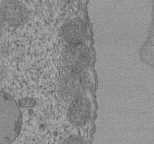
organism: Tetrahymena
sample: Cilia in tetrahymena